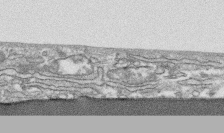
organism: Human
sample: CRL-1474